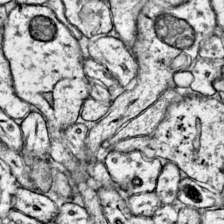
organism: Mouse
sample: Primary visual cortex